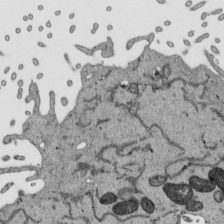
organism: Human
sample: Mitochondria in HCT116 cells